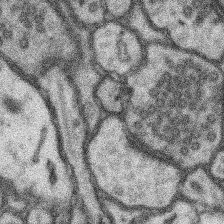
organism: Mouse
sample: Somatosensory cortex neuropil